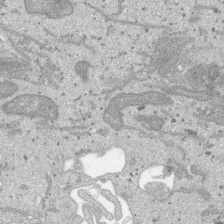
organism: Human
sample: Lung epithelial cells infected with SARS-CoV-2